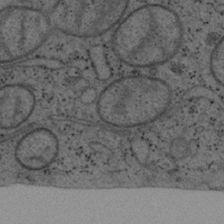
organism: Human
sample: HeLa cells